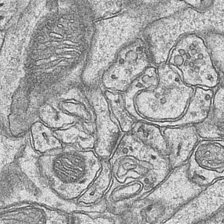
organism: Mouse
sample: CA1 Hippocampus